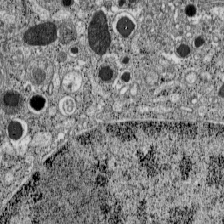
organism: C57BL Mouse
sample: Pancreatic islet